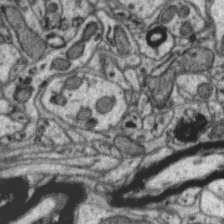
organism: Zebra finch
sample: Brain